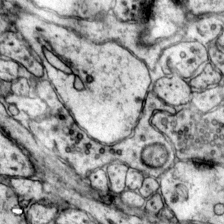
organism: Mouse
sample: Primary visual cortex